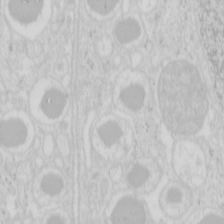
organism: Mouse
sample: Pancreas